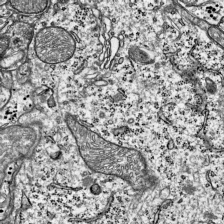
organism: Mouse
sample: Visual Cortex